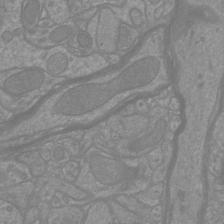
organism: Mouse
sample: Cortical neurons